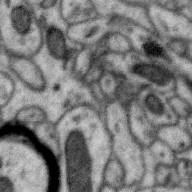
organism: Zebra finch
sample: Brain